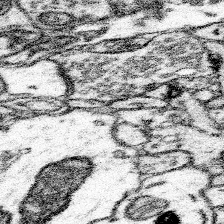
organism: Mouse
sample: Somatosensory cortex neuropil